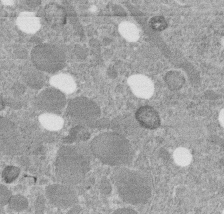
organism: C. elegans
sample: C. elegans embryo early stage